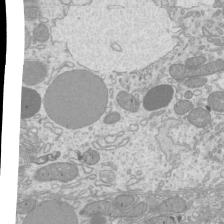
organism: Mouse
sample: Cilia; mouse epididymis